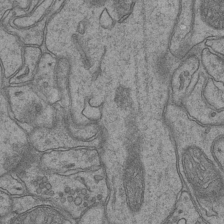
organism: Mouse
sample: CA1 Hippocampus